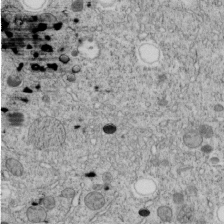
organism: C. elegans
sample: C. elegans embryo early stage